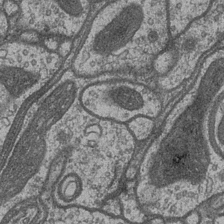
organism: Drosophila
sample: Optic medulla